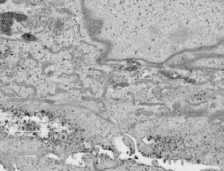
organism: Human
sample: Mitochondria in HCT116 cells